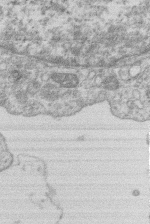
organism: Human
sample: Macrophage cells